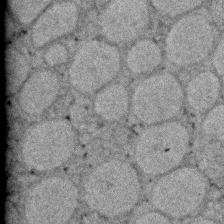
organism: Zebrafish